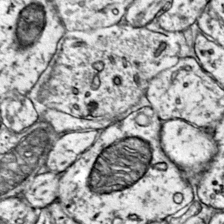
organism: Mouse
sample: Primary visual cortex